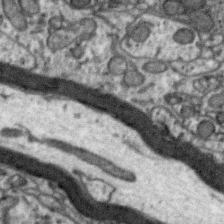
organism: Zebra finch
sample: Brain